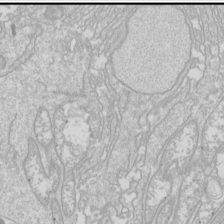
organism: Drosophila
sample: Cell division; meiosis; drosophila spermatocytes